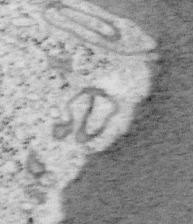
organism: Mouse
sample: OT-I killer T cells with ID8 ovarian cancer cells